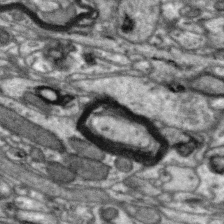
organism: Zebra finch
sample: Brain